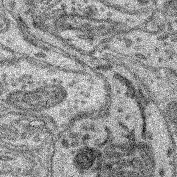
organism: Mouse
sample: Retina